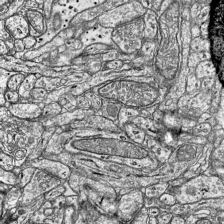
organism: Mouse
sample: Visual Cortex